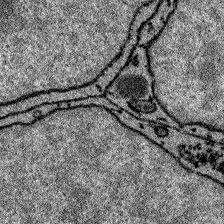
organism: Zebrafish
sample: Larval olfactory bulb